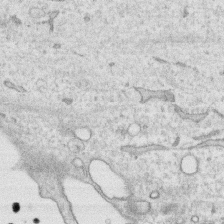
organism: Human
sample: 1205lu cells